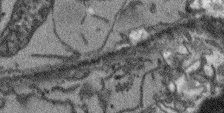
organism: Arabidopsis thaliana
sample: Root tip